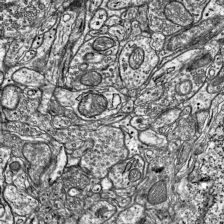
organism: Mouse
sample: Visual Cortex